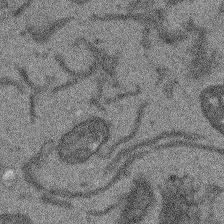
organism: Arabidopsis thaliana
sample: Root tip